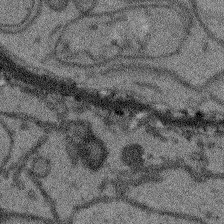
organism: Arabidopsis thaliana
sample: Root tip